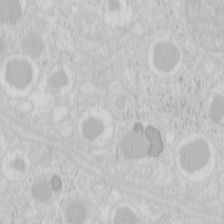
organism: Mouse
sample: Pancreas